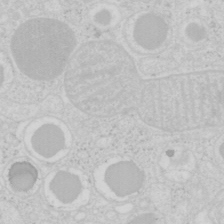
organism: Mouse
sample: Pancreas